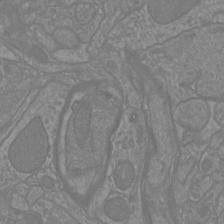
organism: Mouse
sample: Cortical neurons